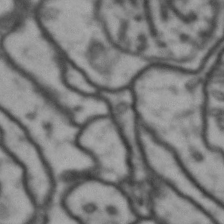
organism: Drosophila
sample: Brain